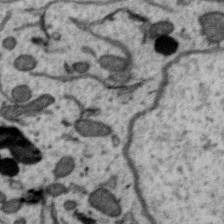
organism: Zebra finch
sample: Brain